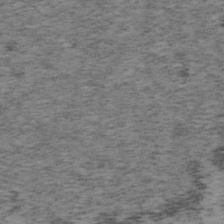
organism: Mouse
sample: OT-I killer T cells with ID8 ovarian cancer cells